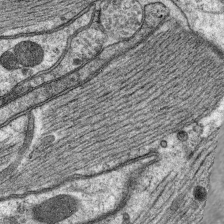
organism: C. elegans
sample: Pharynx